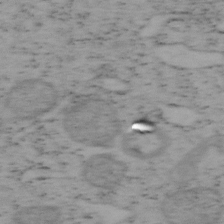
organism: Mouse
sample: OT-I killer T cells with ID8 ovarian cancer cells